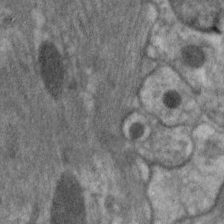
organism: C. elegans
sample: Pharynx